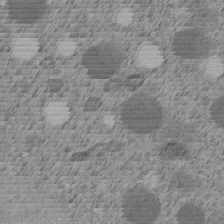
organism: C. elegans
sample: C. elegans embryo early stage